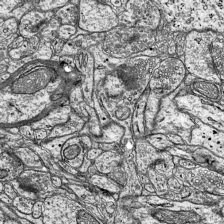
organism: Mouse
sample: Visual Cortex